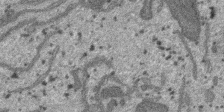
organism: Human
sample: Lung epithelial cells infected with SARS-CoV-2